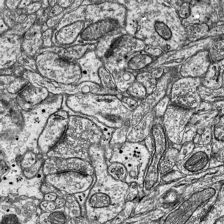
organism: Mouse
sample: Visual Cortex